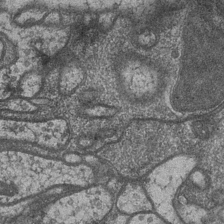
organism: Drosophila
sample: Optic medulla